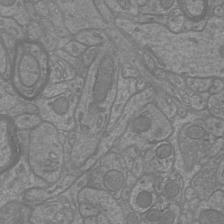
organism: Mouse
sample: Cortical neurons